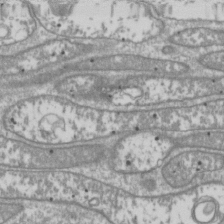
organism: Drosophila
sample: Cell division; meiosis; drosophila spermatocytes